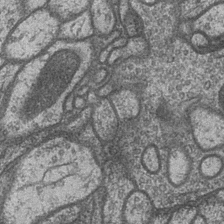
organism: Drosophila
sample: Optic medulla